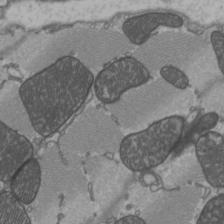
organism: C57BL Mouse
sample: Heart